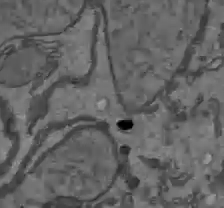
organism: C57BL Mouse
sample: Liver